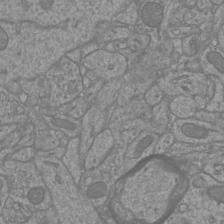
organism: Mouse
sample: Cortical neurons